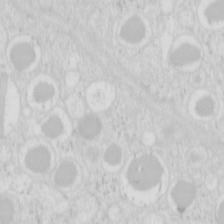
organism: Mouse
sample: Pancreas